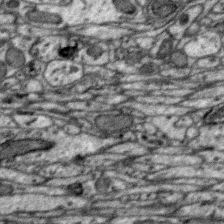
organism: Zebra finch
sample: Brain